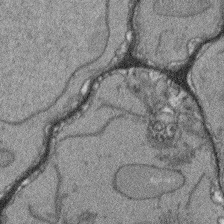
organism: Arabidopsis thaliana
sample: Root tip